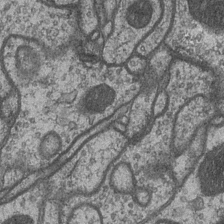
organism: Drosophila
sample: Optic medulla